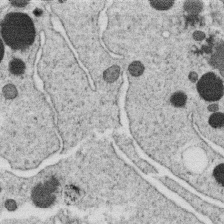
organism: C. elegans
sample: C. elegans oocyte; sperm cells